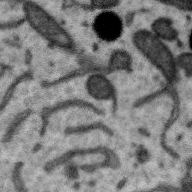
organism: Zebra finch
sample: Brain